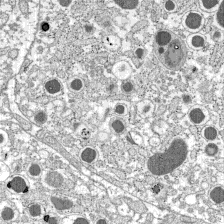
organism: C57BL Mouse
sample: Pancreatic islet